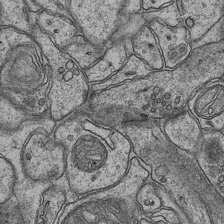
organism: Mouse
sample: CA1 Hippocampus